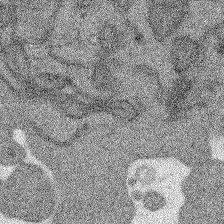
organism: Human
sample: HeLa cells